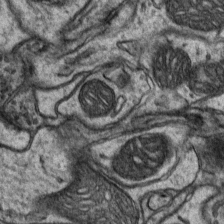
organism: Mouse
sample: CA1 Hippocampus